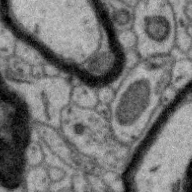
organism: Zebra finch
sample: Brain